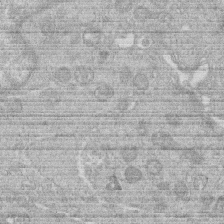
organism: Human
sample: Macrophage cells